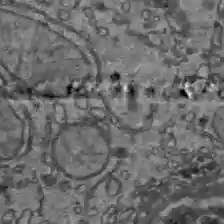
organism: C57BL Mouse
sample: Liver